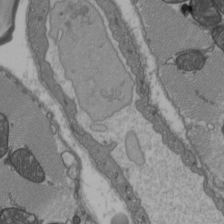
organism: C57BL Mouse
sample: Heart